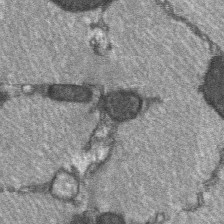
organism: C57BL Mouse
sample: Soleus